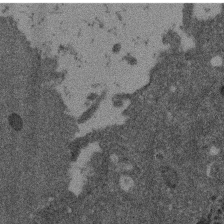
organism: Mouse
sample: Dividing mouse embryo 1 cell stage